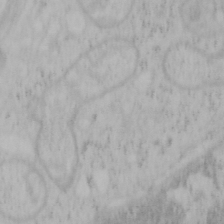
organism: Mouse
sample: OT-I killer T cells with ID8 ovarian cancer cells